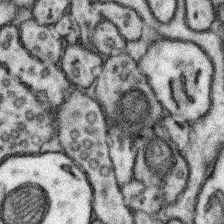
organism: Mouse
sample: Somatosensory cortex neuropil